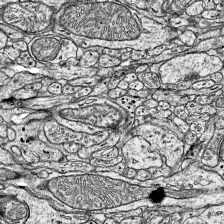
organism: Mouse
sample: Visual Cortex